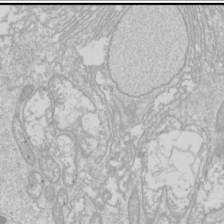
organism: Drosophila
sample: Cell division; meiosis; drosophila spermatocytes